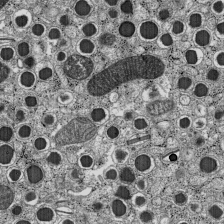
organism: C57BL Mouse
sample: Pancreatic islet